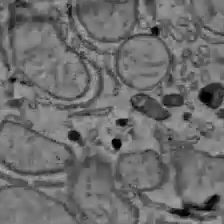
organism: C57BL Mouse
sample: Liver